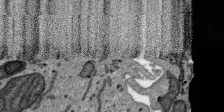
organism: Human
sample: Lung epithelial cells, uninfected (mock) control